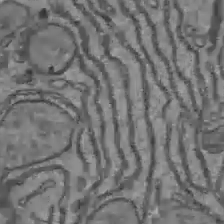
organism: C57BL Mouse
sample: Liver